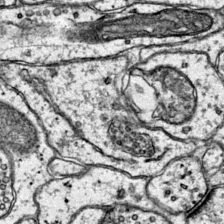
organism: Mouse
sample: Primary visual cortex